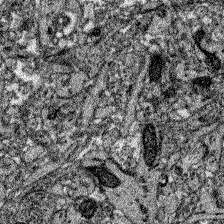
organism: Zebrafish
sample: Larval olfactory bulb